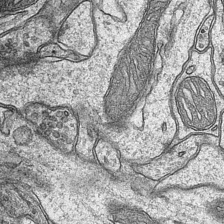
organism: Mouse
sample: CA1 Hippocampus